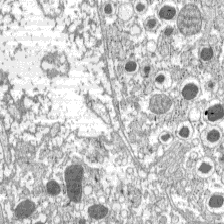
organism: C57BL Mouse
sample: Pancreatic islet